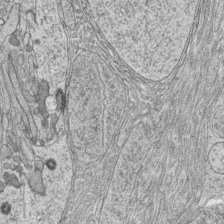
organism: Zebrafish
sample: synaptic ribbons in rod cells and cone cells